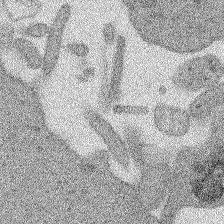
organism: Human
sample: HeLa cells